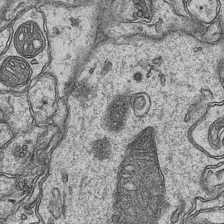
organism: Mouse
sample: CA1 Hippocampus